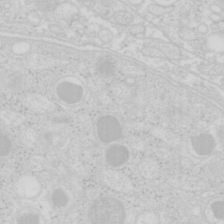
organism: Mouse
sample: Pancreas